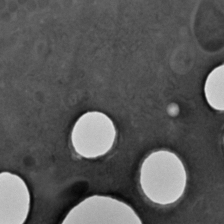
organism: C. elegans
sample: C. elegans embryo